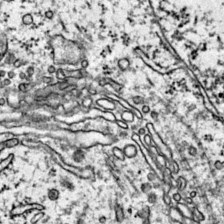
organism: Mouse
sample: Primary visual cortex